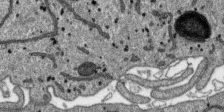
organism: Human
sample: Lung epithelial cells, uninfected (mock) control